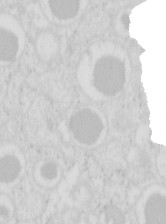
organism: Mouse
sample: Pancreas